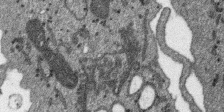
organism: Human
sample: Lung epithelial cells infected with SARS-CoV-2